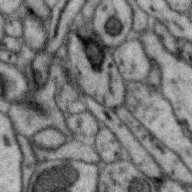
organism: Zebra finch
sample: Brain